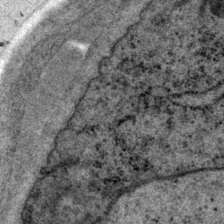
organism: P. pacificus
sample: Pharynx